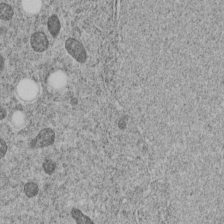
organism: C. elegans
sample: C. elegans embryo early stage